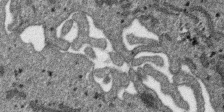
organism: Human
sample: Lung epithelial cells infected with SARS-CoV-2